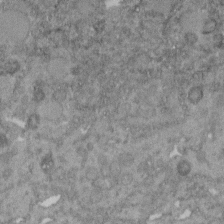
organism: C. elegans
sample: C. elegans embryo early stage